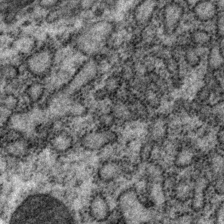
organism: P. pacificus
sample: Pharynx